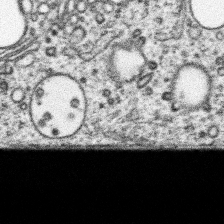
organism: Human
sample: HeLa cells